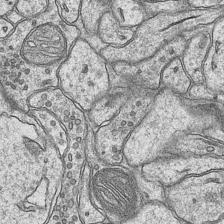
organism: Mouse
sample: CA1 Hippocampus